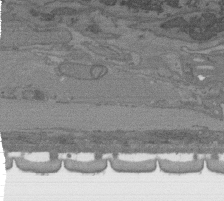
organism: C. elegans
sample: AFD neurons C. elegans